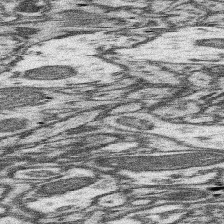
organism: Mouse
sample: Somatosensory cortex neuropil